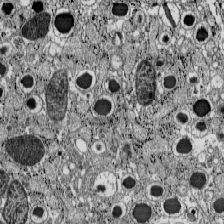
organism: C57BL Mouse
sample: Pancreatic islet